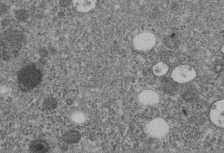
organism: C. elegans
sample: C. elegans embryo early stage